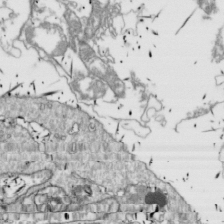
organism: Drosophila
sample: Cell division; meiosis; drosophila spermatocytes